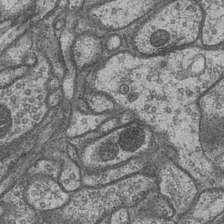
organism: Drosophila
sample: Optic medulla